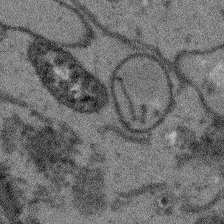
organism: Arabidopsis thaliana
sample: Root tip